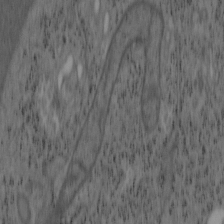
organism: Human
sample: HeLa cells